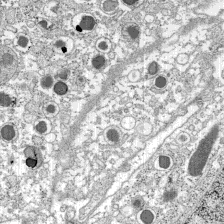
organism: C57BL Mouse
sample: Pancreatic islet